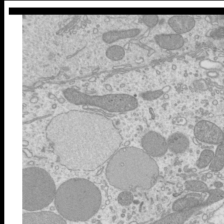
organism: Mouse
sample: Cilia; mouse epididymis